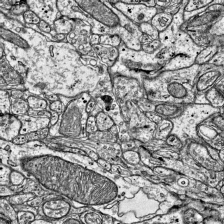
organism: Mouse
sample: Visual Cortex